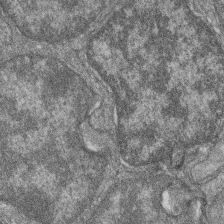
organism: Zebrafish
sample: Cilia; retinal pigment epithelium